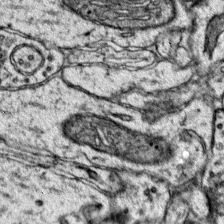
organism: Mouse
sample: Primary visual cortex